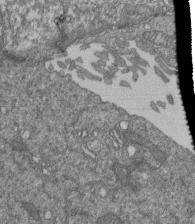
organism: Human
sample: Retinal organoid Rod and Cone cells